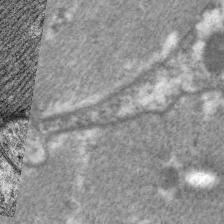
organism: C. elegans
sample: Pharynx